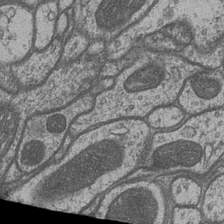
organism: Drosophila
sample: Optic medulla